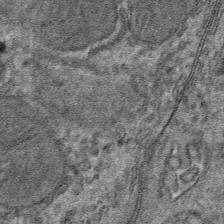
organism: Mouse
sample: Mouse hepatocytes